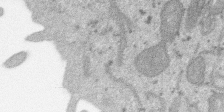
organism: Human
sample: Lung epithelial cells infected with SARS-CoV-2